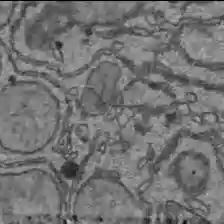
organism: C57BL Mouse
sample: Liver